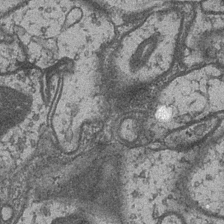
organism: Drosophila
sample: Optic medulla